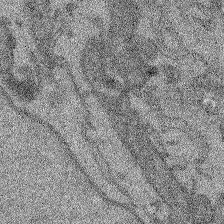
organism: Human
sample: HeLa cells